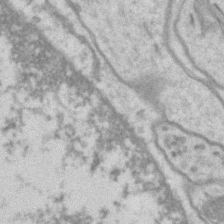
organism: Mouse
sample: CA1 Hippocampus